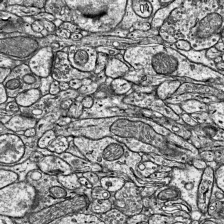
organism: Mouse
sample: Visual Cortex